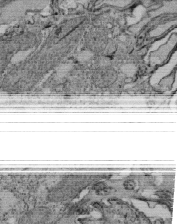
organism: Tetrahymena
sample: Cilia in tetrahymena